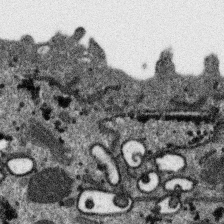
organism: Human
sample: Lung epithelial cells infected with SARS-CoV-2